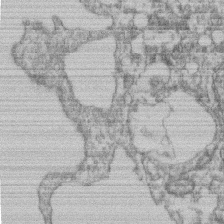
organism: Mouse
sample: T cell stromal cell synapse